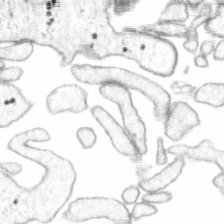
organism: Human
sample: HeLa cells